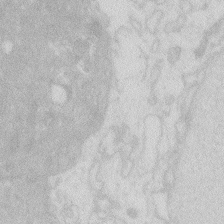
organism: Zebrafish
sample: Macrophage